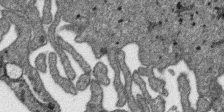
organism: Human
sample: Lung epithelial cells infected with SARS-CoV-2